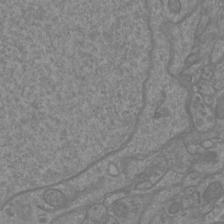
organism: Mouse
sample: Cortical neurons